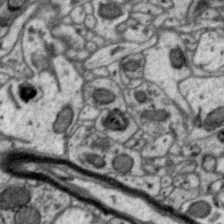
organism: Zebra finch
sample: Brain